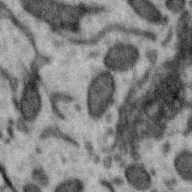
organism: Zebra finch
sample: Brain